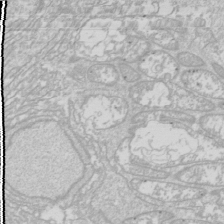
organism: Drosophila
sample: Cell division; meiosis; drosophila spermatocytes